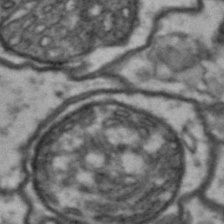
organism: Drosophila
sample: Brain